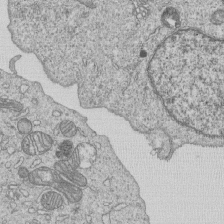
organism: Human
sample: MDA-MB-231 cells